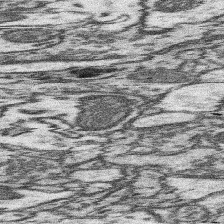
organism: Mouse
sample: Somatosensory cortex neuropil